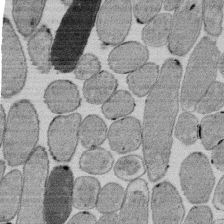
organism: E. coli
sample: Bacterial nucleoid